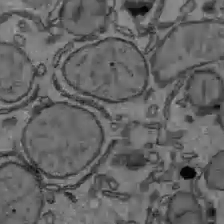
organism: C57BL Mouse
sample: Liver